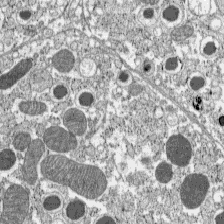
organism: C57BL Mouse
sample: Pancreatic islet